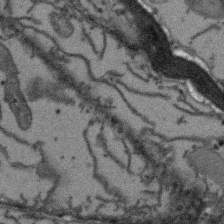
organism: Arabidopsis thaliana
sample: Root tip